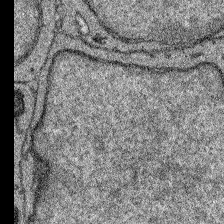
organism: Zebrafish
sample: Larval olfactory bulb